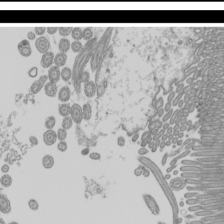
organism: Mouse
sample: Cilia; mouse epididymis